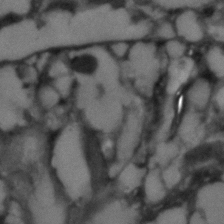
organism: C. elegans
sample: C. elegans embryo